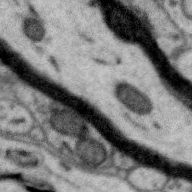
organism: Zebra finch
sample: Brain